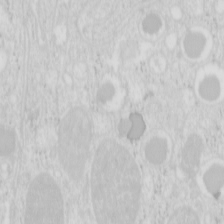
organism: Mouse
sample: Pancreas